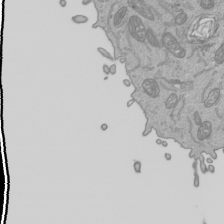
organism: Human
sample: Mitochondria in HCT116 cells